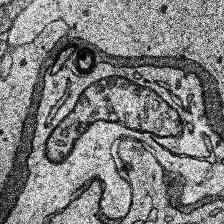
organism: Human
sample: Temporal Lobe